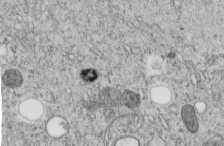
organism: C. elegans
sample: C. elegans embryo early stage